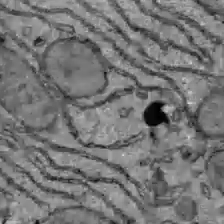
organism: C57BL Mouse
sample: Liver